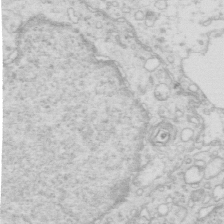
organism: Mouse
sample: Multiciliated cells